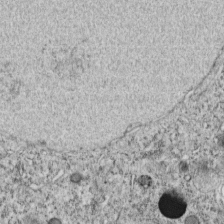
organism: C. elegans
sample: C. elegans embryo early stage